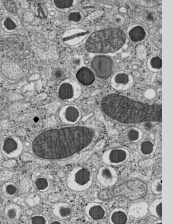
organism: C57BL Mouse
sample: Pancreatic islet